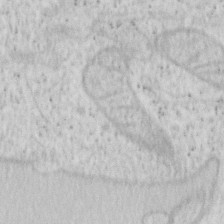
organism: Human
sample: HeLa cells